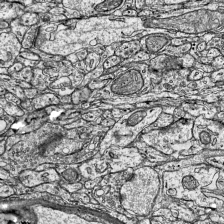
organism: Mouse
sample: Visual Cortex